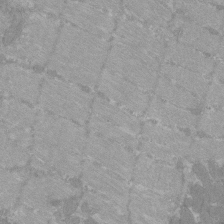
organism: C57BL Mouse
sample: Tibialis anterior muscle cell